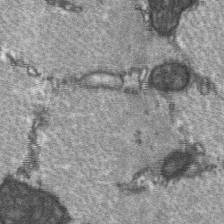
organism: C57BL Mouse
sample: Soleus